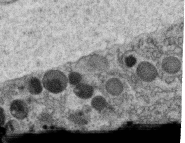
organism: C. elegans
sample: C. elegans oocyte; sperm cells